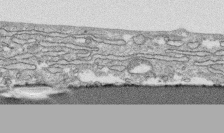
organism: Human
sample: CRL-1474